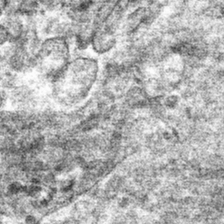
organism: Mouse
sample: Mouse hepatocytes